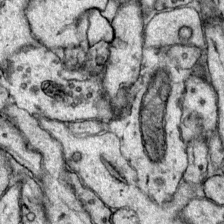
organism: Mouse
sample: Primary visual cortex